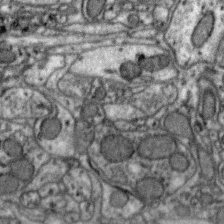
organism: Zebra finch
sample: Brain